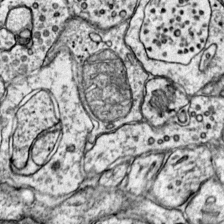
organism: Mouse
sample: Primary visual cortex